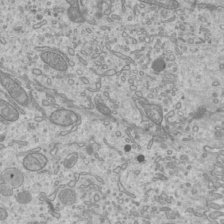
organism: Mouse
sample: Cilia; mouse epididymis